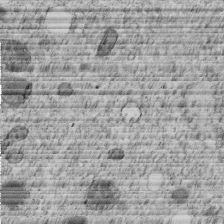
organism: C. elegans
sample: C. elegans embryo early stage